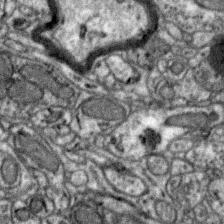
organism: Zebra finch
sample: Brain